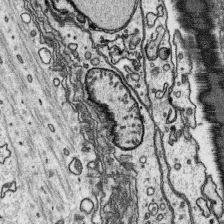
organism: Platynereis dumerilii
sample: Parapodia